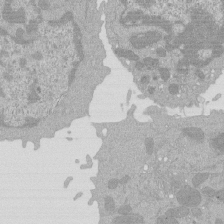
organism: Mouse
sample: Activated Pmel transgenic CD8+ T Cells